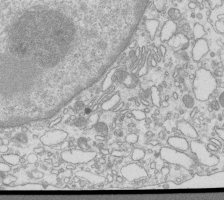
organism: Mouse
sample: Macrophages